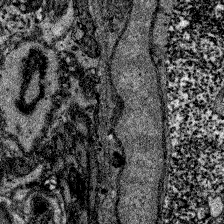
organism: Zebrafish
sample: Larval olfactory bulb